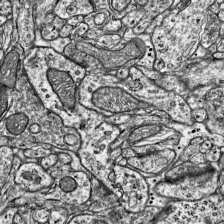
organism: Mouse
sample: Visual Cortex